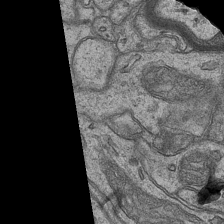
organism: Mouse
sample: CA1 Hippocampus